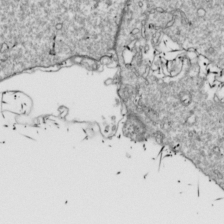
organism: Drosophila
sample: Cell division; meiosis; drosophila spermatocytes